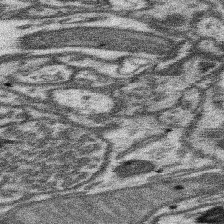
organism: Mouse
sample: Somatosensory cortex neuropil